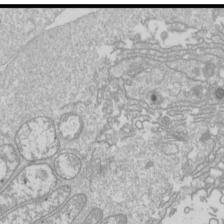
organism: Drosophila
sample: Cell division; meiosis; drosophila spermatocytes